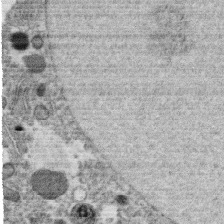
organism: C. elegans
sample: C. elegans oocyte; sperm cells